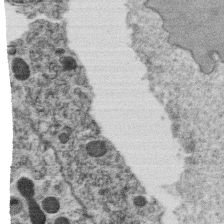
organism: C. elegans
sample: C. elegans oocyte; sperm cells